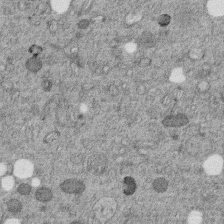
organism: C. elegans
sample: C. elegans embryo early stage